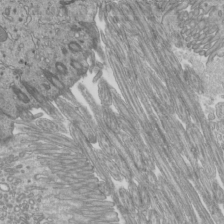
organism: Mouse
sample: Cilia; mouse epididymis